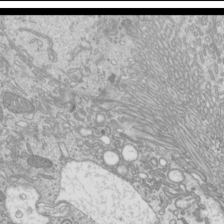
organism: Mouse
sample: Cilia; mouse epididymis